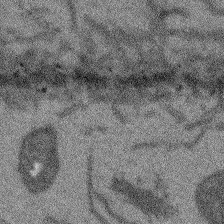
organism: Arabidopsis thaliana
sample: Root tip